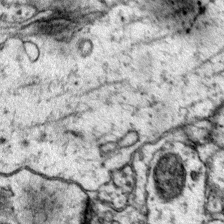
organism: Mouse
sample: Primary visual cortex